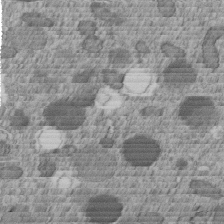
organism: C. elegans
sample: C. elegans embryo early stage